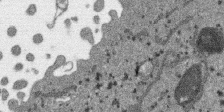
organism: Human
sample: Lung epithelial cells infected with SARS-CoV-2